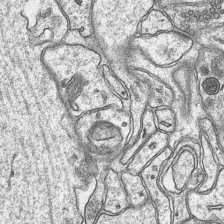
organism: Mouse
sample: CA1 Hippocampus